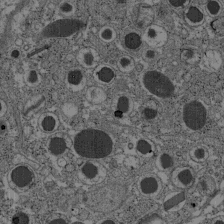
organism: C57BL Mouse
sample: Pancreatic islet